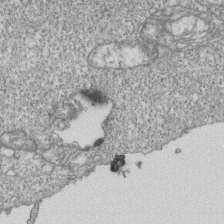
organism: Human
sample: HeLa cell HIV synapse